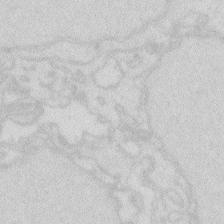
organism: Zebrafish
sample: Macrophage